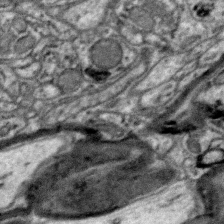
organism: Zebra finch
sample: Brain